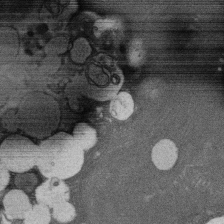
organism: Rat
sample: Salivary granule